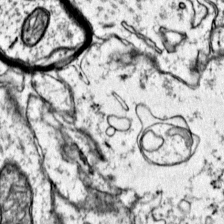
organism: Mouse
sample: Primary visual cortex